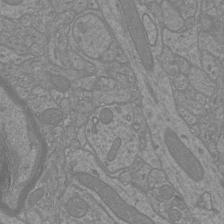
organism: Mouse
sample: Cortical neurons